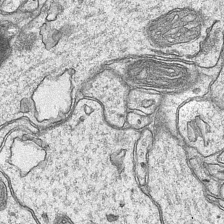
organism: Mouse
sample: CA1 Hippocampus